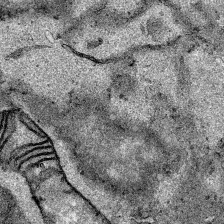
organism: Human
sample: Mitochondria in HCT116 cells